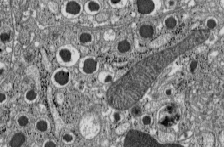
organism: C57BL Mouse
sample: Pancreatic islet